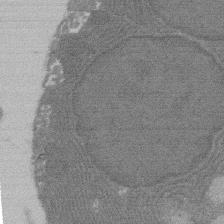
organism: Rat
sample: Salivary granule